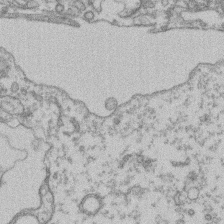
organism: Mouse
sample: T cell stromal cell synapse